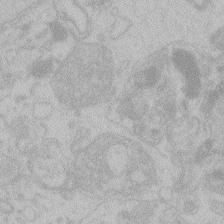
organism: Zebrafish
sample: Macrophage infected with Toxoplasma gondii